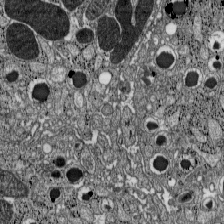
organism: C57BL Mouse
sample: Pancreatic islet